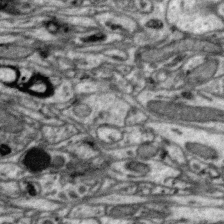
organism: Zebra finch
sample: Brain